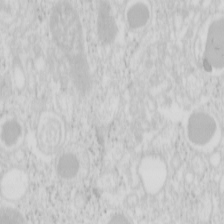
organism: Mouse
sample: Pancreas